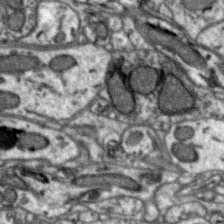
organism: Zebra finch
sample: Brain